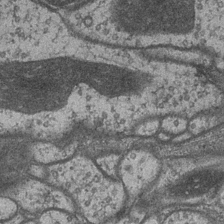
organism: Drosophila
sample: Optic medulla